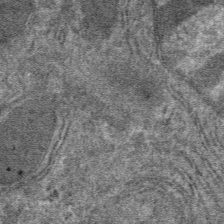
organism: Mouse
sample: Mouse hepatocytes